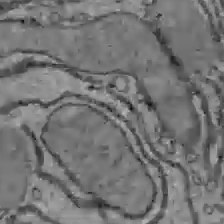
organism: C57BL Mouse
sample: Liver